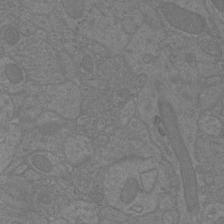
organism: Mouse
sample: Cortical neurons